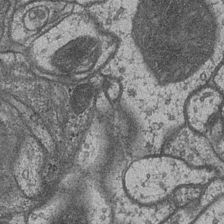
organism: Drosophila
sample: Optic medulla